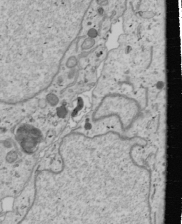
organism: Human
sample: Mitochondria in U2OS cells